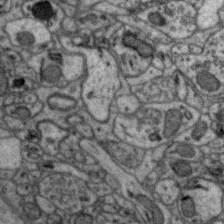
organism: Zebra finch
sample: Brain